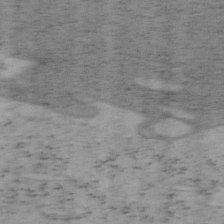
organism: Mouse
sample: OT-I killer T cells with ID8 ovarian cancer cells